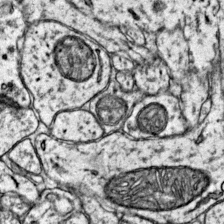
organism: Mouse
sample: Primary visual cortex